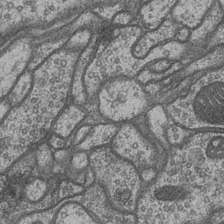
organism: Drosophila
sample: Optic medulla